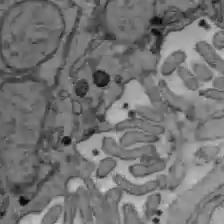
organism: C57BL Mouse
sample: Liver